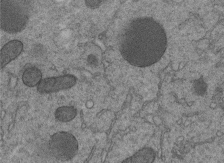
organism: C. elegans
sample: C. elegans embryo early stage